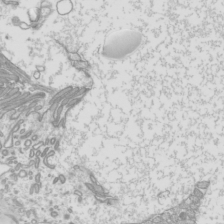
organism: Mouse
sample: Cilia; mouse epididymis